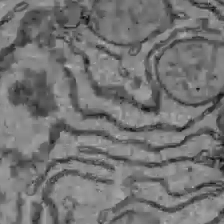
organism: C57BL Mouse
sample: Liver